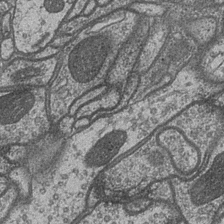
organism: Drosophila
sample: Optic medulla